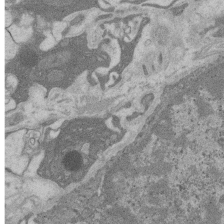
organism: Rat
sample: Salivary granule